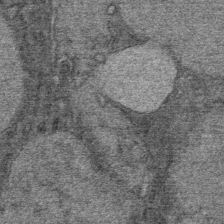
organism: Mouse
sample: Mouse Salivary gland